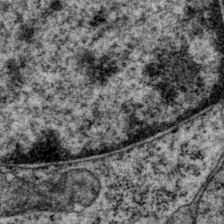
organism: P. pacificus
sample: Pharynx